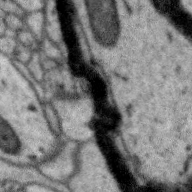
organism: Zebra finch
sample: Brain